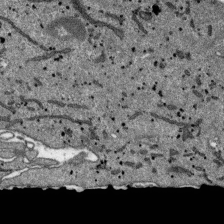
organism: Human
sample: Lung epithelial cells, uninfected (mock) control